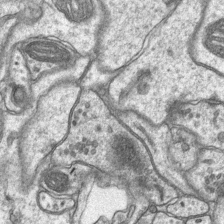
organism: Mouse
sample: CA1 Hippocampus